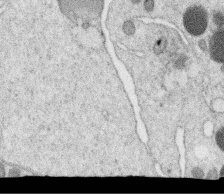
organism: C. elegans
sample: C. elegans oocyte; sperm cells